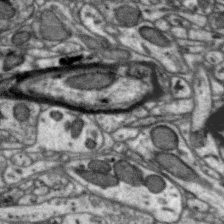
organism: Zebra finch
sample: Brain